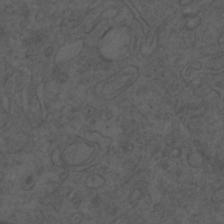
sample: Trachea